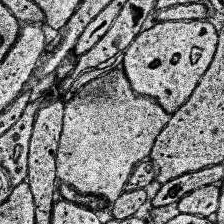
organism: Human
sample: Temporal Lobe